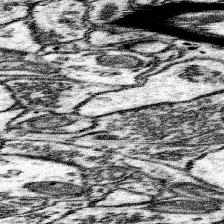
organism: Mouse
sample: Somatosensory cortex neuropil